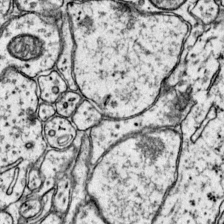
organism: Mouse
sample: Primary visual cortex